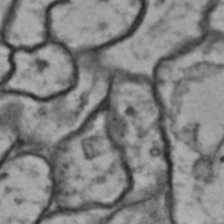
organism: Drosophila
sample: Brain